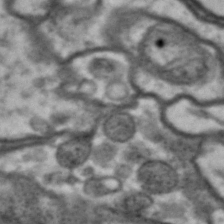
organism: Drosophila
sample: Brain